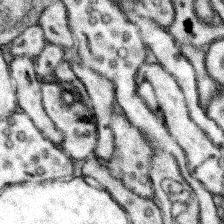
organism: Mouse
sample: Somatosensory cortex neuropil